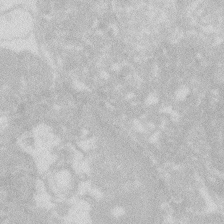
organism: Zebrafish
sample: Macrophage